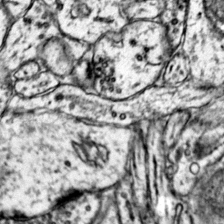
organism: Mouse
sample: Primary visual cortex